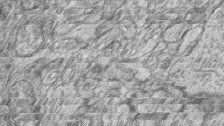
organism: Zebrafish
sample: synaptic ribbons in rod cells and cone cells